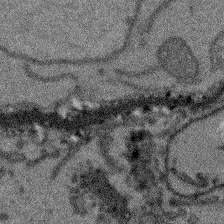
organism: Arabidopsis thaliana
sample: Root tip